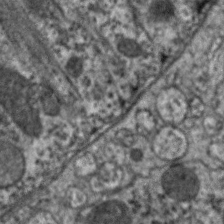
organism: C. elegans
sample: Pharynx